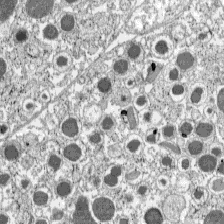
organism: C57BL Mouse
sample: Pancreatic islet